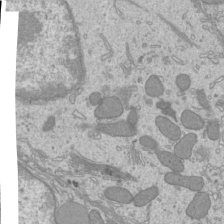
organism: Mouse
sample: Cilia; mouse epididymis